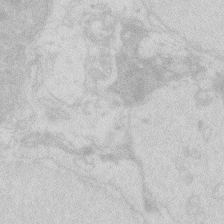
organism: Zebrafish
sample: Macrophage